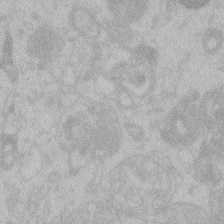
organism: Zebrafish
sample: Macrophage infected with Toxoplasma gondii